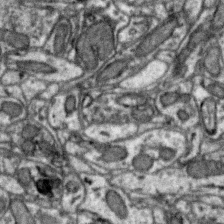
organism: Zebra finch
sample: Brain